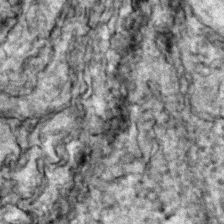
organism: Zebrafish